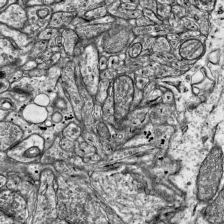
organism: Mouse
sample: Visual Cortex